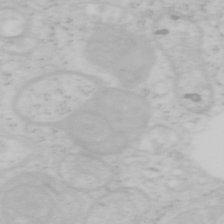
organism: Mouse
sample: OT-I killer T cells with ID8 ovarian cancer cells